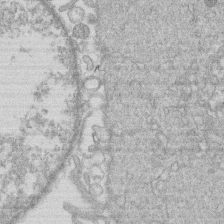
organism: Human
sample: Macrophage cells